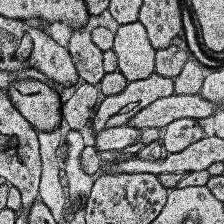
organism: Human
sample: Temporal Lobe